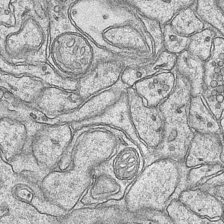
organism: Mouse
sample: CA1 Hippocampus